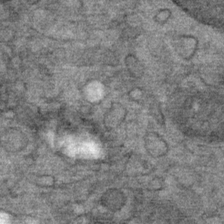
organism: Mouse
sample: Mouse Salivary gland